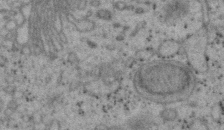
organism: Human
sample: HeLa cells